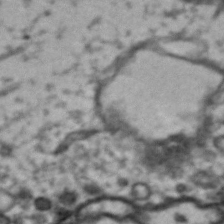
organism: Drosophila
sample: Brain